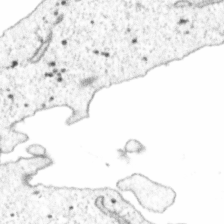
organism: Human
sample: HeLa cells